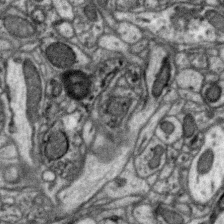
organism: Zebra finch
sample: Brain